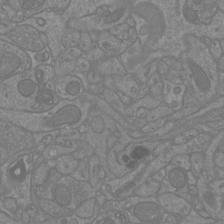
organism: Mouse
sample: Cortical neurons